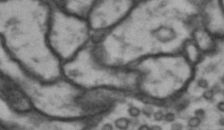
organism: Drosophila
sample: Brain